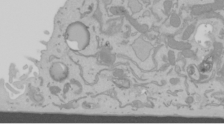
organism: Mouse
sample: Cancer cell death in ED-1 cells